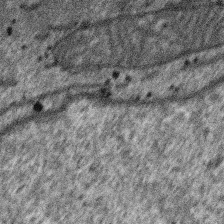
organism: Human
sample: Lung epithelial cells infected with SARS-CoV-2